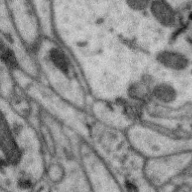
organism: Zebra finch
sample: Brain